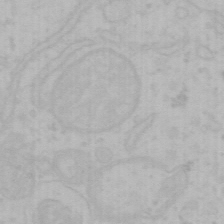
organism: Mouse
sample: Choroid plexus